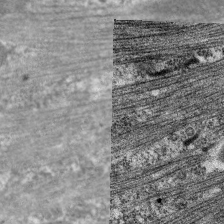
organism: C. elegans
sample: Pharynx